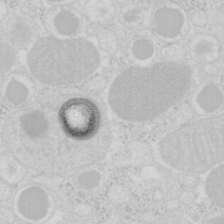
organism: Mouse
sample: Pancreas